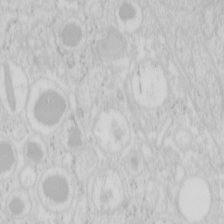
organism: Mouse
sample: Pancreas